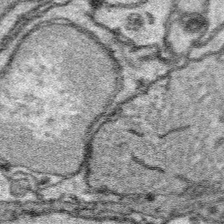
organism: Platynereis dumerilii